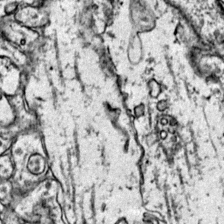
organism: Mouse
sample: Primary visual cortex